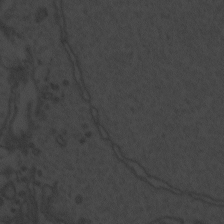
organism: Zebrafish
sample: Macrophage infected with Toxoplasma gondii